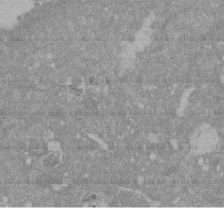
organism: Mouse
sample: ED-1 cell nuclei; centrioles